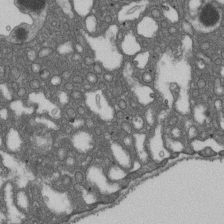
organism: Drosophila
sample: Nephrocyte